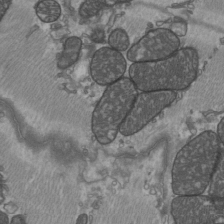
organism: C57BL Mouse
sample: Heart